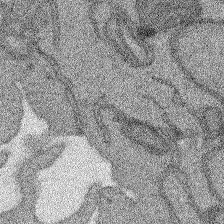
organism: Human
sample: HeLa cells